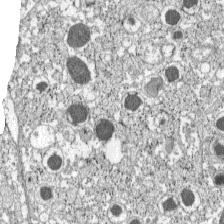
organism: C57BL Mouse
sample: Pancreatic islet